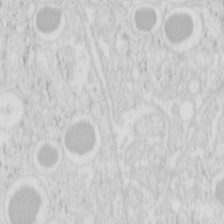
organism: Mouse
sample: Pancreas